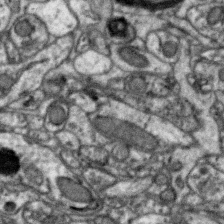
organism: Zebra finch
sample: Brain